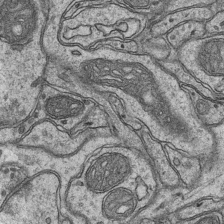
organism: Mouse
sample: CA1 Hippocampus